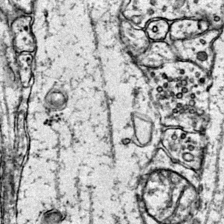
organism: Mouse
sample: Primary visual cortex